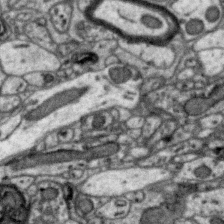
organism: Zebra finch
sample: Brain